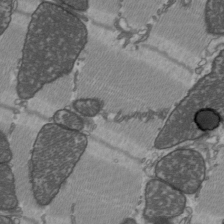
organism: C57BL Mouse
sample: Heart